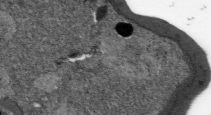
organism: Plasmodium falciparum